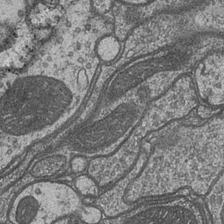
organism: Drosophila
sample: Optic medulla